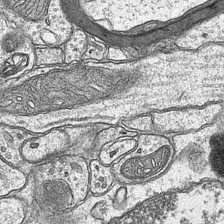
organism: Mouse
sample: CA1 Hippocampus